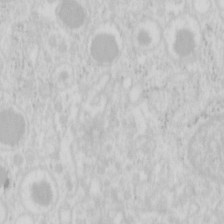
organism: Mouse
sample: Pancreas